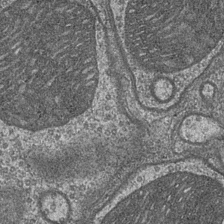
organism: Drosophila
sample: Optic medulla